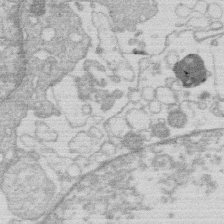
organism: Human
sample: Macrophage cells